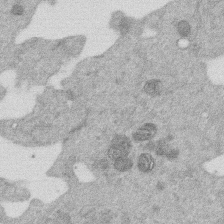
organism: Mouse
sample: Dividing mouse embryo 1 cell stage